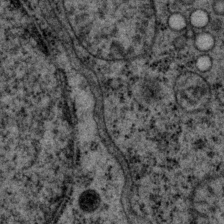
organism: P. pacificus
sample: Pharynx